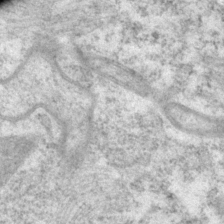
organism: P. pacificus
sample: Pharynx